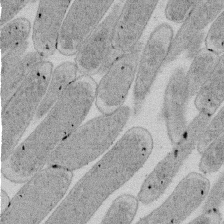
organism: E. coli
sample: Bacterial nucleoid